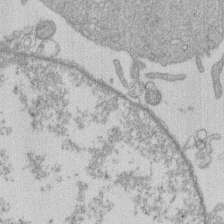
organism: Human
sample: Macrophage cells